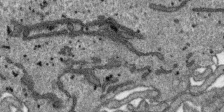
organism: Human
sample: Lung epithelial cells, uninfected (mock) control